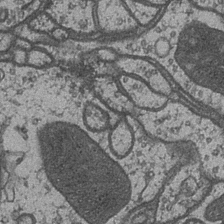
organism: Drosophila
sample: Optic medulla